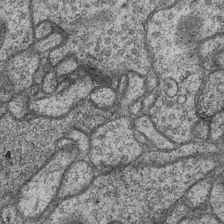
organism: Drosophila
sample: Optic medulla